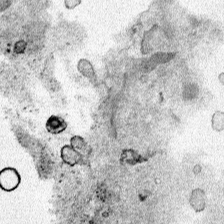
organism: Human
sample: Mitochondria in HCT116 cells